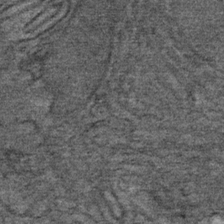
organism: Mouse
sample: Mouse Salivary gland